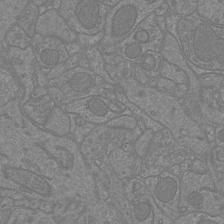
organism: Mouse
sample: Cortical neurons